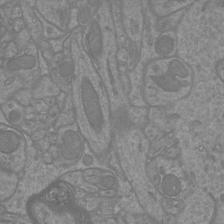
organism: Mouse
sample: Cortical neurons